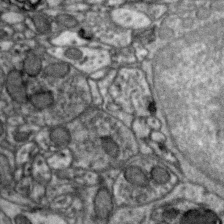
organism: Zebra finch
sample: Brain